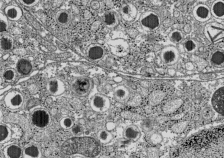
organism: C57BL Mouse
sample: Pancreatic islet